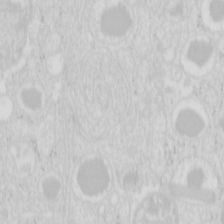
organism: Mouse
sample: Pancreas